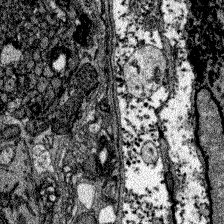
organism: Zebrafish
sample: Larval olfactory bulb